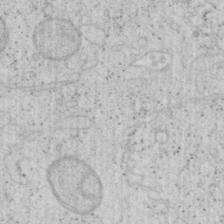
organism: Human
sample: HeLa cells